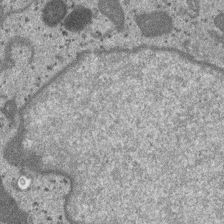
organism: Human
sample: Lung epithelial cells infected with SARS-CoV-2